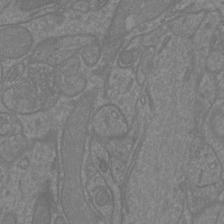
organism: Mouse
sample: Cortical neurons